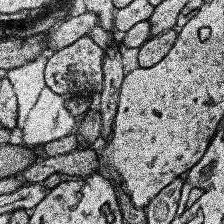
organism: Human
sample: Temporal Lobe